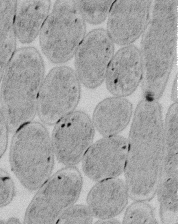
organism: E. coli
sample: Bacterial nucleoid